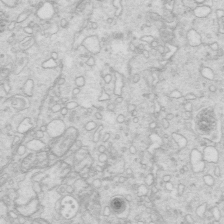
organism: Mouse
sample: Multiciliated cells